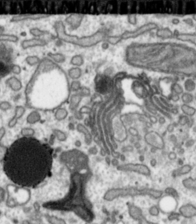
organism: Toxoplasma gondii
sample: Parasites in a vacuole inside a host cell